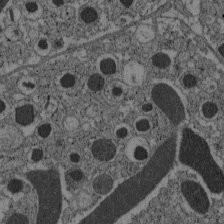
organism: C57BL Mouse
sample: Pancreatic islet